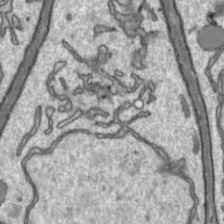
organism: Toxoplasma gondii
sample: Parasites in a vacuole inside a host cell